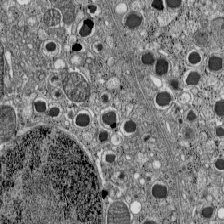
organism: C57BL Mouse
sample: Pancreatic islet